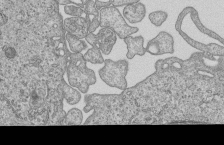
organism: Human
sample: MDA-MB-231 cells